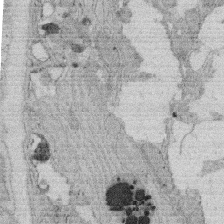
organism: Rat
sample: Salivary granule